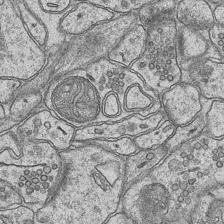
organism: Mouse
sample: CA1 Hippocampus